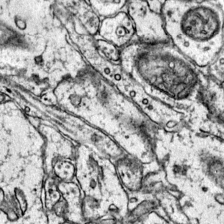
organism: Mouse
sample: Primary visual cortex